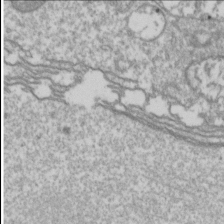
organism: Drosophila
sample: Cell division; meiosis; drosophila spermatocytes